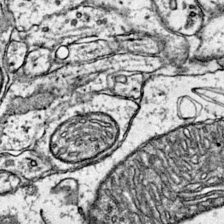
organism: Mouse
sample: Primary visual cortex